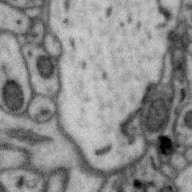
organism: Zebra finch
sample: Brain